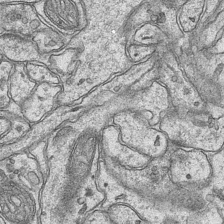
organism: Mouse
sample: CA1 Hippocampus